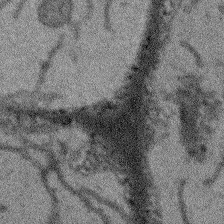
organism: Arabidopsis thaliana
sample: Root tip